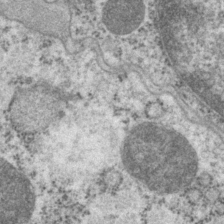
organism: P. pacificus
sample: Pharynx